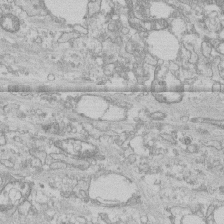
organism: Human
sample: CRL-1474